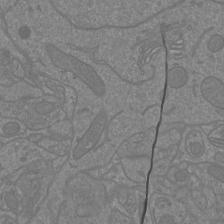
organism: Mouse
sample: Cortical neurons